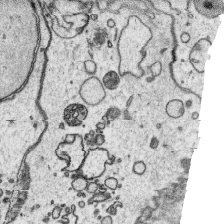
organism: Platynereis dumerilii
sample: Parapodia